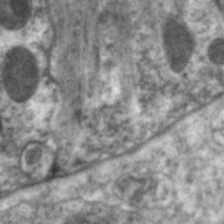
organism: C. elegans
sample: Pharynx